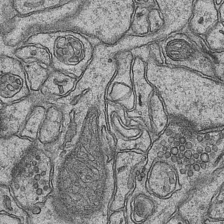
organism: Mouse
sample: CA1 Hippocampus